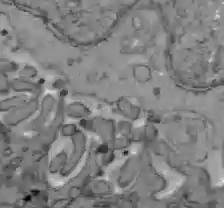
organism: C57BL Mouse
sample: Liver